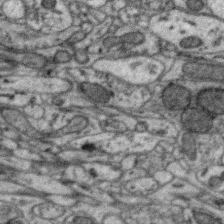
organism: Zebra finch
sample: Brain